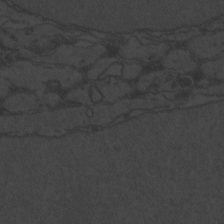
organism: Zebrafish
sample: Macrophage infected with Toxoplasma gondii